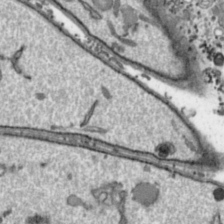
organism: Toxoplasma gondii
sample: Parasites in a vacuole inside a host cell